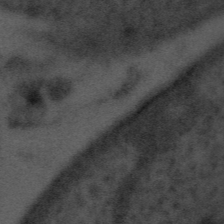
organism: Tuwongella immobilis